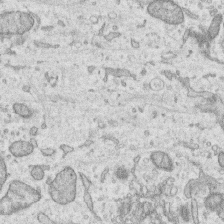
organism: Human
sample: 1205lu cells